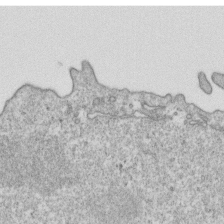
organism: Mouse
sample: Activated OT-1 CD8+ T cells